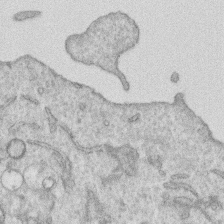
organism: Human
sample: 1205lu cells